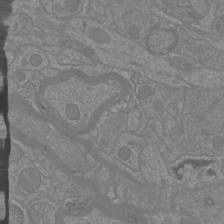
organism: Mouse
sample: Cortical neurons